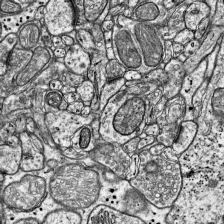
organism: Mouse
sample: Visual Cortex